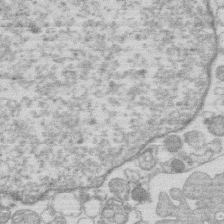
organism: Human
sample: Macrophage cells